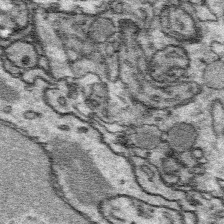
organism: Platynereis dumerilii